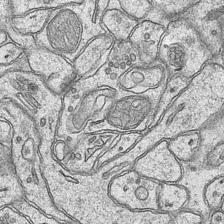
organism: Mouse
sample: CA1 Hippocampus